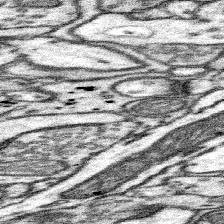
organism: Mouse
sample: Somatosensory cortex neuropil